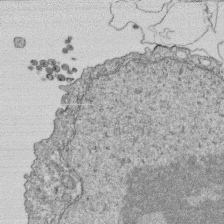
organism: Human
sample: HeLa cell HIV synapse